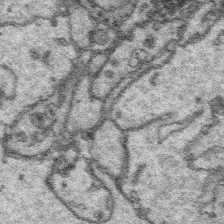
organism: Platynereis dumerilii